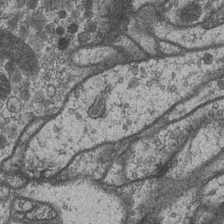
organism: Drosophila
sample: Optic medulla